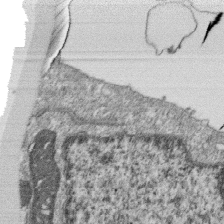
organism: African green monkey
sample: Vero E6 cells infected with SARS-CoV-2